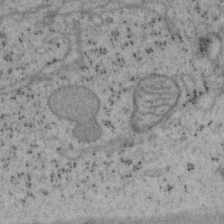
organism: Human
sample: HeLa cells